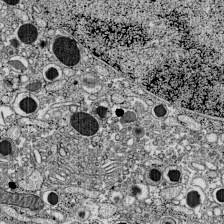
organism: C57BL Mouse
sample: Pancreatic islet